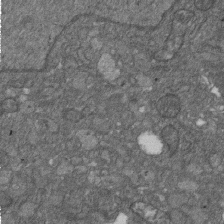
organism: Drosophila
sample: Nephrocyte